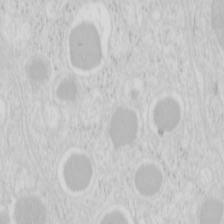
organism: Mouse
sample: Pancreas